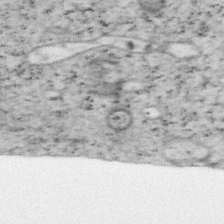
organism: Mouse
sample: OT-I killer T cells with ID8 ovarian cancer cells